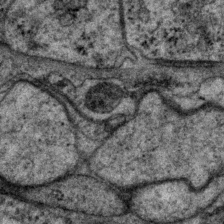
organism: P. pacificus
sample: Pharynx